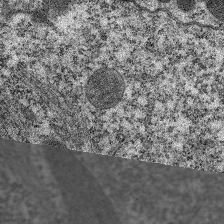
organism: C. elegans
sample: Pharynx